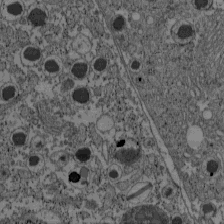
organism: C57BL Mouse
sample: Pancreatic islet